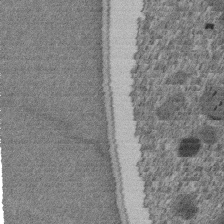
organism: C. elegans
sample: C. elegans embryo early stage